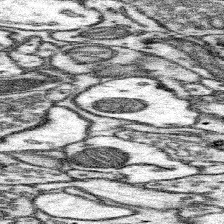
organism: Mouse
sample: Somatosensory cortex neuropil